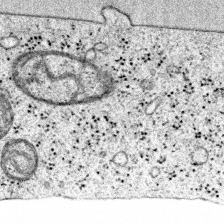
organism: Human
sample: HeLa cells